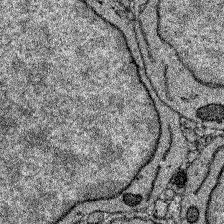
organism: Zebrafish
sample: Larval olfactory bulb